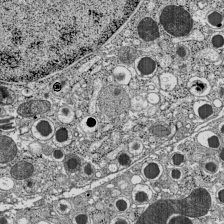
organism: C57BL Mouse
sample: Pancreatic islet